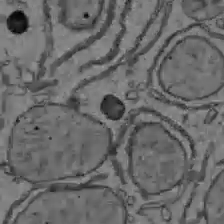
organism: C57BL Mouse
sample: Liver